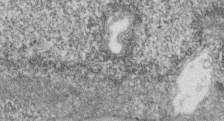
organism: Zebrafish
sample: Cilia; retinal pigment epithelium